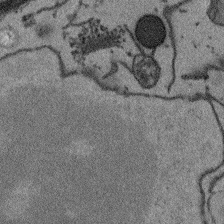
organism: Arabidopsis thaliana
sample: Root tip